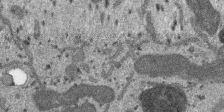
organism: Human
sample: Lung epithelial cells infected with SARS-CoV-2